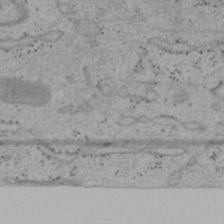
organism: Human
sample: HeLa cells